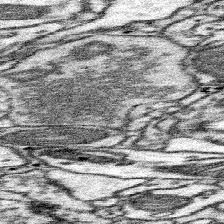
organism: Mouse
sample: Somatosensory cortex neuropil